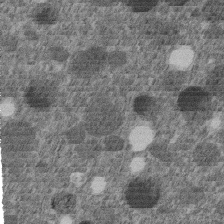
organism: C. elegans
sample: C. elegans embryo early stage